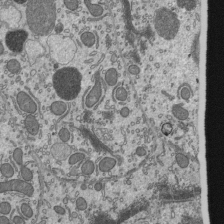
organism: Mouse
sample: Mouse epididymis efferent ductule cilia